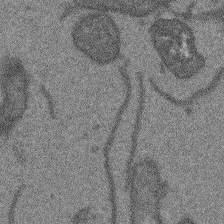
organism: Arabidopsis thaliana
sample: Root tip